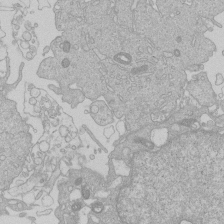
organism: Human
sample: Macrophage cells